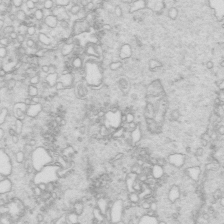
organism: Mouse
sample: Multiciliated cells